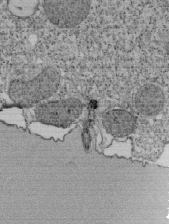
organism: Tetrahymena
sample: Cilia in tetrahymena